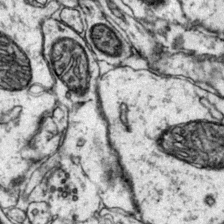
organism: Mouse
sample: Primary visual cortex